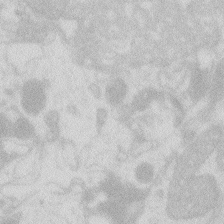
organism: Zebrafish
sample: Macrophage